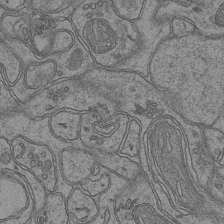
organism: Mouse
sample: CA1 Hippocampus